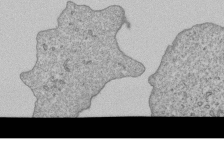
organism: Human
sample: MDA-MB-231 cells